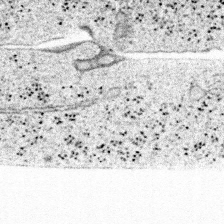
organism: Human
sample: HeLa cells